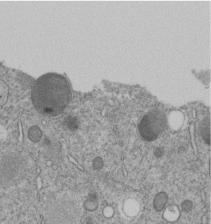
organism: C. elegans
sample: C. elegans embryo early stage